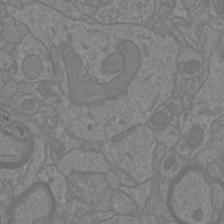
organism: Mouse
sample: Cortical neurons